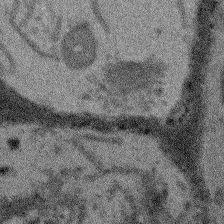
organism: Arabidopsis thaliana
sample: Root tip